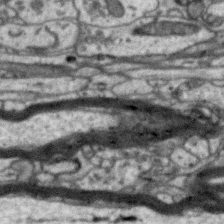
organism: Zebra finch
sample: Brain